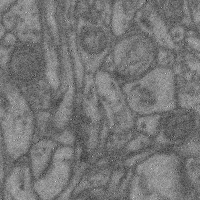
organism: Mouse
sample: Cerebral cortex